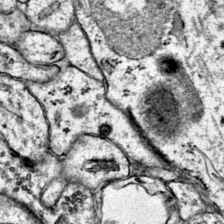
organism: Mouse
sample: Primary visual cortex